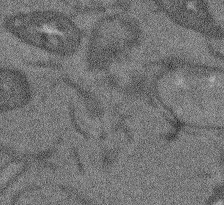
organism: Arabidopsis thaliana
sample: Root tip